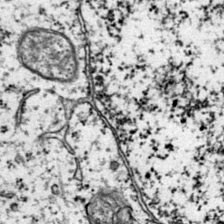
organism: Mouse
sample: Primary visual cortex